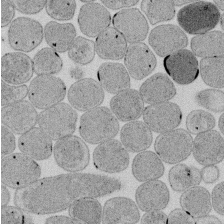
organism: E. coli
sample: Bacterial nucleoid